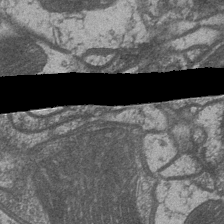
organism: Drosophila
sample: Optic medulla